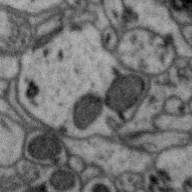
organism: Zebra finch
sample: Brain